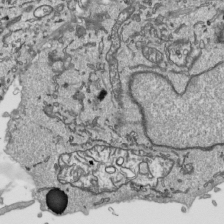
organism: Human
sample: Mitochondria in HCT116 cells